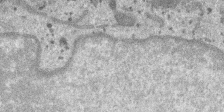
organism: Human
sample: Lung epithelial cells infected with SARS-CoV-2